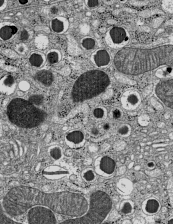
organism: C57BL Mouse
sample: Pancreatic islet